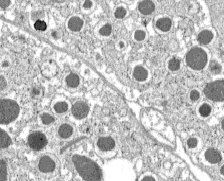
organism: C57BL Mouse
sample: Pancreatic islet